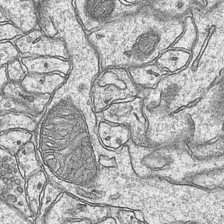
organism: Mouse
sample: CA1 Hippocampus